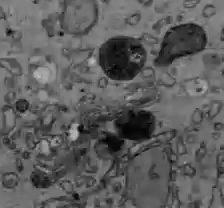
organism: C57BL Mouse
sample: Liver